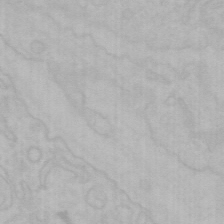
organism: Mouse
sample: Choroid plexus